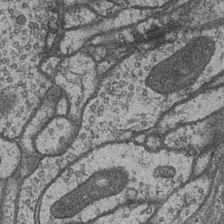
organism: Drosophila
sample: Optic medulla